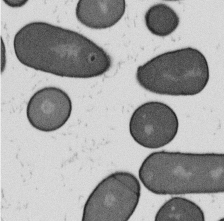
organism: B. subtilis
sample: Bacterial spore